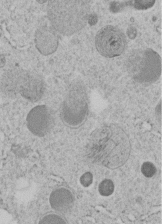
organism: C. elegans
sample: C. elegans embryo early stage